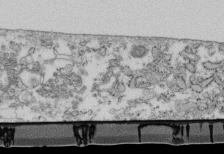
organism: Mouse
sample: Cilia; retinal pigment epithelium